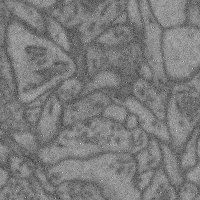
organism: Mouse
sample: Cerebral cortex